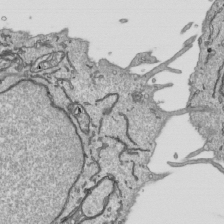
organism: Human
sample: Mitochondria in HCT116 cells